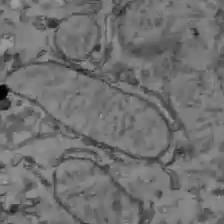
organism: C57BL Mouse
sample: Liver